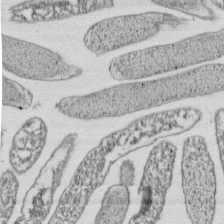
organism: E. coli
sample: Bacterial nucleoid